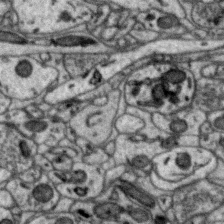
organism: Zebra finch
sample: Brain